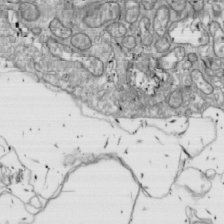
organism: Drosophila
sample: Cell division; meiosis; drosophila spermatocytes